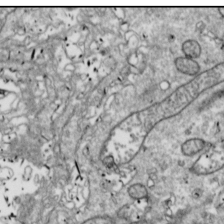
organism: Drosophila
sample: Cell division; meiosis; drosophila spermatocytes